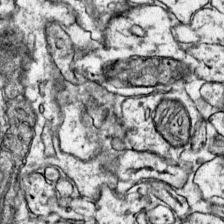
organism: Mouse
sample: Primary visual cortex